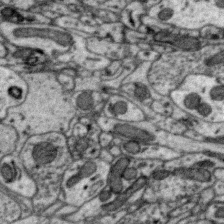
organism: Zebra finch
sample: Brain